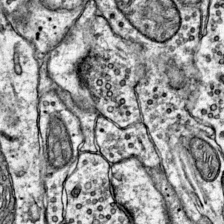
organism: Mouse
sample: Primary visual cortex